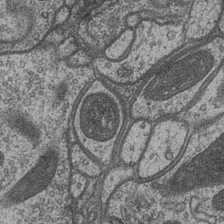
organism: Drosophila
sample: Optic medulla